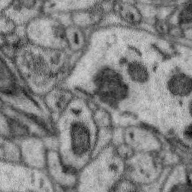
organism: Zebra finch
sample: Brain